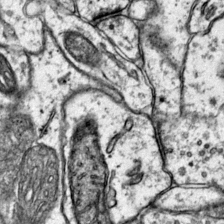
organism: Mouse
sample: Primary visual cortex